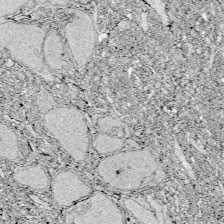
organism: Zebrafish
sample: Whole-Brain